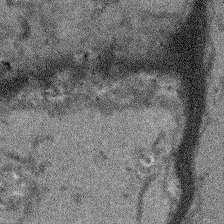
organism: Arabidopsis thaliana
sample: Root tip